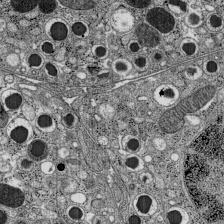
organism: C57BL Mouse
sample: Pancreatic islet